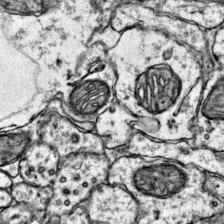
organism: Mouse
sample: Primary visual cortex